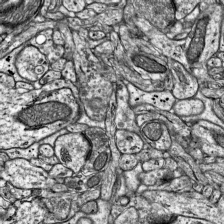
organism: Mouse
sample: Visual Cortex